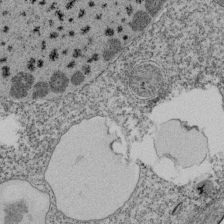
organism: Tetrahymena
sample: Cilia in tetrahymena